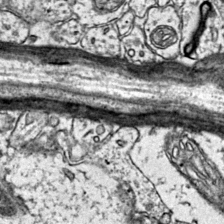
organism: Mouse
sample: Primary visual cortex